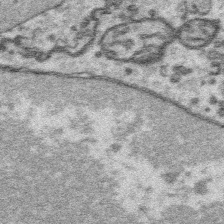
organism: Platynereis dumerilii